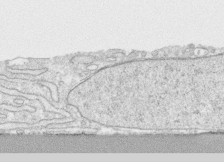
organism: Human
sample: CRL-1474